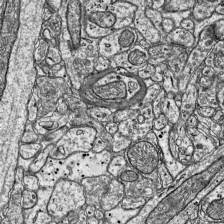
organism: Mouse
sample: Visual Cortex